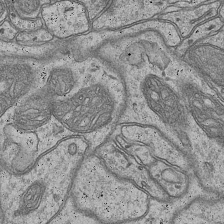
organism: Mouse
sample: CA1 Hippocampus